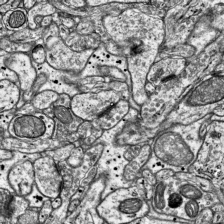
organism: Mouse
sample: Visual Cortex